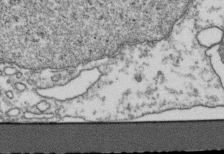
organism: Human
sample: Activated Jurkat CD4+ T cells